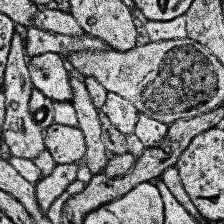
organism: Human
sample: Temporal Lobe